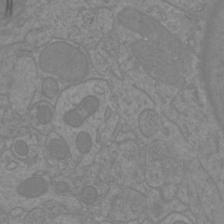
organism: Mouse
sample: Cortical neurons